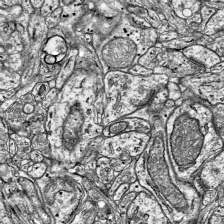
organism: Mouse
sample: Visual Cortex